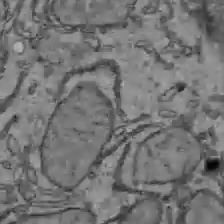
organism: C57BL Mouse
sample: Liver